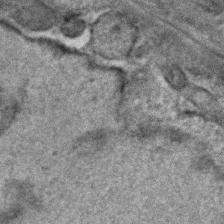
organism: C. elegans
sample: C. elegans embryo